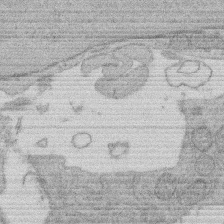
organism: Rat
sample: Salivary granule